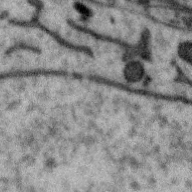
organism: Zebra finch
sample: Brain